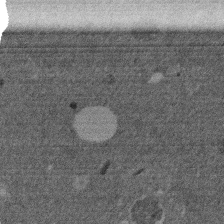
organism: Mouse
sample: Dividing mouse embryo 1 cell stage